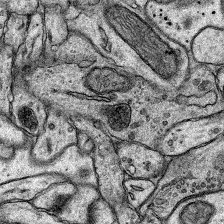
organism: Rat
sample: Hippocampus